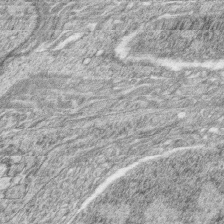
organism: Zebrafish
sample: synaptic ribbons in rod cells and cone cells